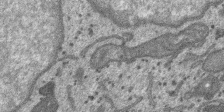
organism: Human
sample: Lung epithelial cells infected with SARS-CoV-2